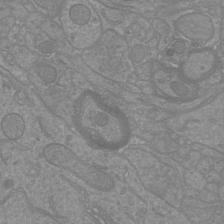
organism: Mouse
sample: Cortical neurons